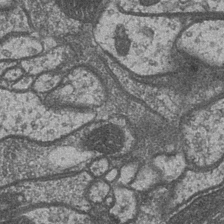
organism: Drosophila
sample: Optic medulla